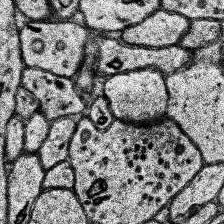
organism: Human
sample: Temporal Lobe